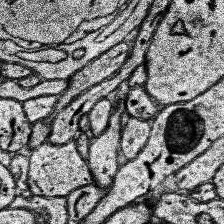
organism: Human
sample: Temporal Lobe